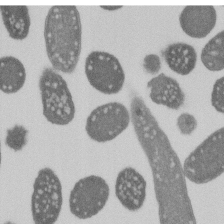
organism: E. coli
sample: Bacterial nucleoid